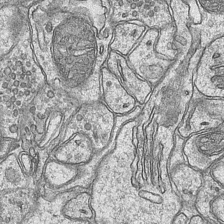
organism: Mouse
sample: CA1 Hippocampus